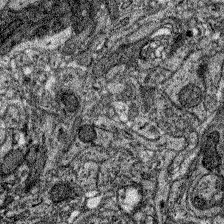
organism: Zebrafish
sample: Larval olfactory bulb